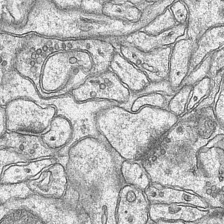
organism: Mouse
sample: CA1 Hippocampus